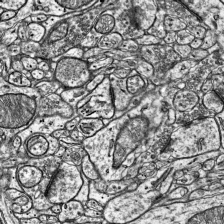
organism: Mouse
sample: Visual Cortex